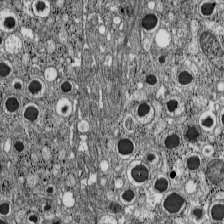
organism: C57BL Mouse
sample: Pancreatic islet